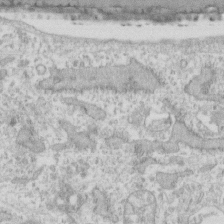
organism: Human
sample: Fibroblast cells